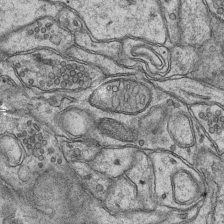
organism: Mouse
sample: CA1 Hippocampus